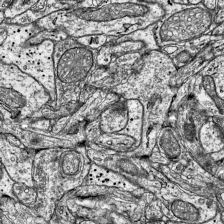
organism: Mouse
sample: Visual Cortex